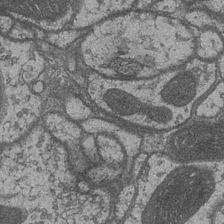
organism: Drosophila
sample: Optic medulla